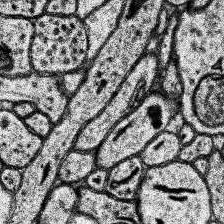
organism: Human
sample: Temporal Lobe